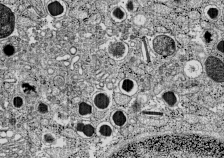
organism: C57BL Mouse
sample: Pancreatic islet